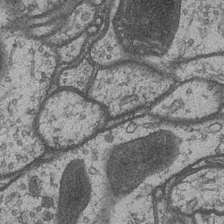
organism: Drosophila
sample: Optic medulla